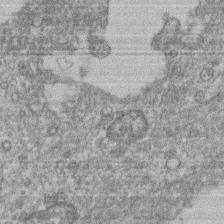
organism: Mouse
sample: T cell stromal cell synapse